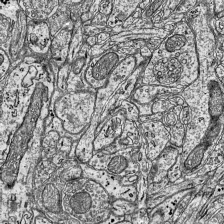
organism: Mouse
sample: Visual Cortex